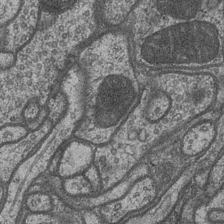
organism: Drosophila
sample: Optic medulla